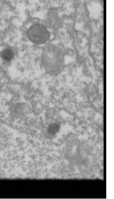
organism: Drosophila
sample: Cell division; meiosis; drosophila spermatocytes